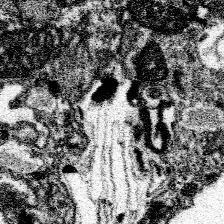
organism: Spongilla lacustris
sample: Neuroid cell